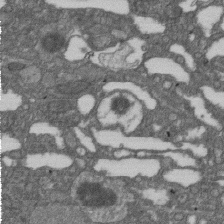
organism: Drosophila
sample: Nephrocyte